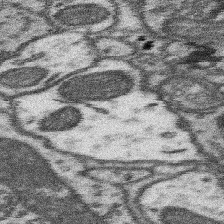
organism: Mouse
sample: Somatosensory cortex neuropil